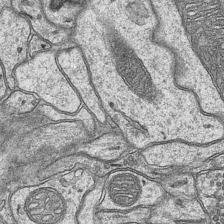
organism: Mouse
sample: CA1 Hippocampus